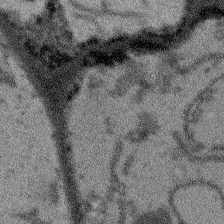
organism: Arabidopsis thaliana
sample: Root tip